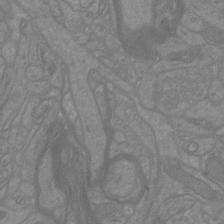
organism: Mouse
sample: Cortical neurons